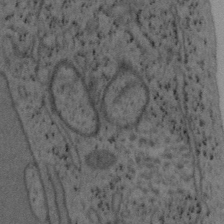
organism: Human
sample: HeLa cells